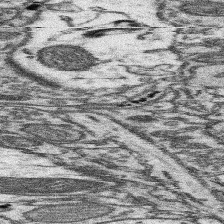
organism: Mouse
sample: Somatosensory cortex neuropil